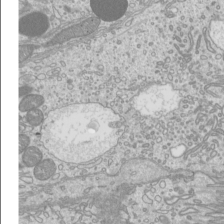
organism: Mouse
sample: Cilia; mouse epididymis